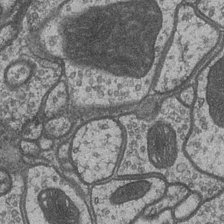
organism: Drosophila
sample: Optic medulla